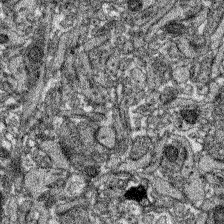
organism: Zebrafish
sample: Larval olfactory bulb